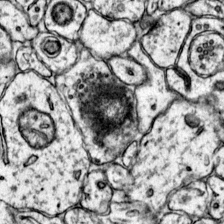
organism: Mouse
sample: Primary visual cortex